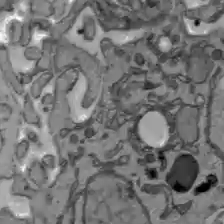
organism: C57BL Mouse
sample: Liver